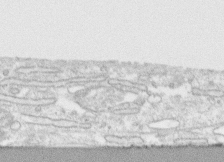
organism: Human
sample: CRL-1474